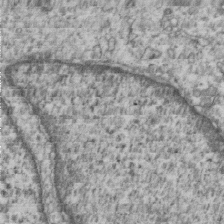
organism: Human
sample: MDA-MB-231 cells